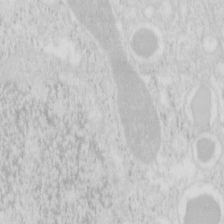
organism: Mouse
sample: Pancreas